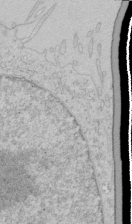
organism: Human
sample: Mitochondria in HCT116 cells